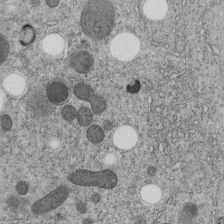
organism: C. elegans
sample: C. elegans embryo early stage